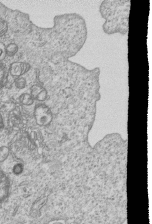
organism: Human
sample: MDA-MB-231 cells